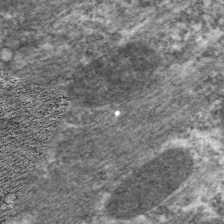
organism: C. elegans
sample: Pharynx